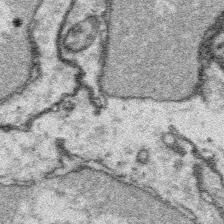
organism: Platynereis dumerilii